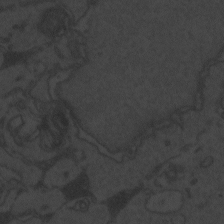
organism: Zebrafish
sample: Macrophage infected with Toxoplasma gondii